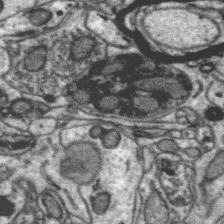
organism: Zebra finch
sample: Brain